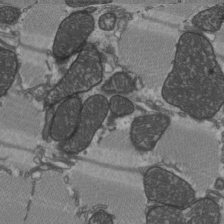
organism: C57BL Mouse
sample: Heart